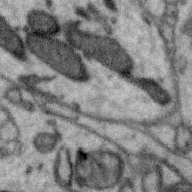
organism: Zebra finch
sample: Brain